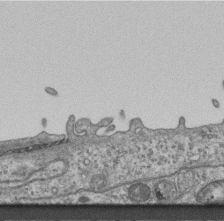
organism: Mouse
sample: Centriole in ependymal cells